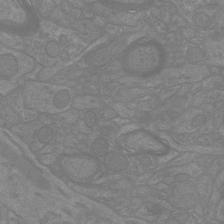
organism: Mouse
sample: Cortical neurons